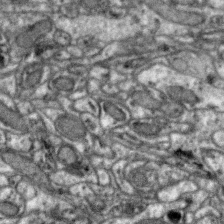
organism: Zebra finch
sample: Brain